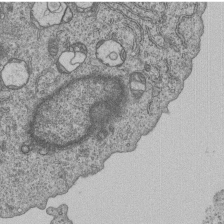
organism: Human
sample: MDA-MB-231 cells